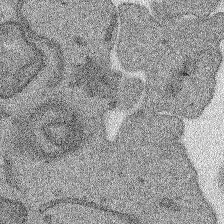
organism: Human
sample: HeLa cells